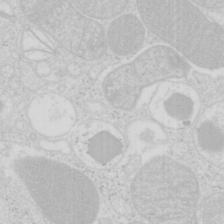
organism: Mouse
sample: Pancreas